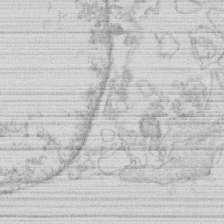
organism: Human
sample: Macrophage cells